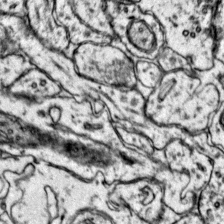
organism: Mouse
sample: Primary visual cortex